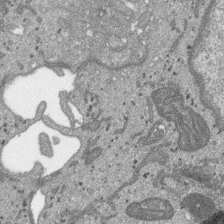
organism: Human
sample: Lung epithelial cells infected with SARS-CoV-2